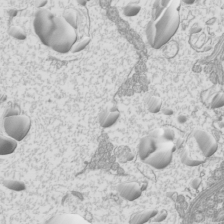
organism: Mouse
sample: Cilia; mouse epididymis